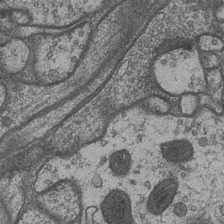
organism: Drosophila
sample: Optic medulla